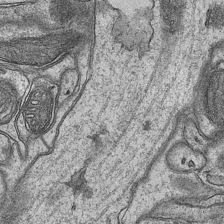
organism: Mouse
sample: CA1 Hippocampus